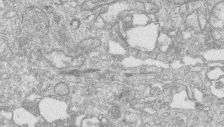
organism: Human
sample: HeLa cell HIV synapse